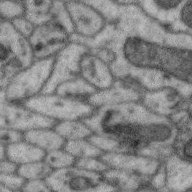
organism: Zebra finch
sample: Brain